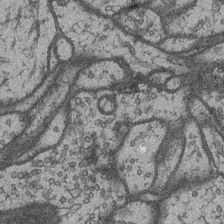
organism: Drosophila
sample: Optic medulla